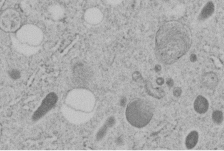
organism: C. elegans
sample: C. elegans embryo early stage